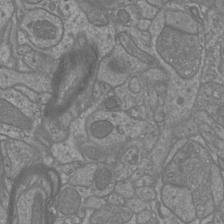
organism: Mouse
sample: Cortical neurons